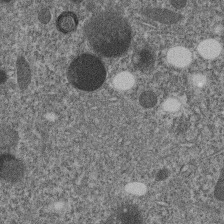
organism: C. elegans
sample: C. elegans embryo early stage